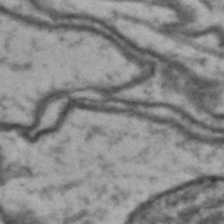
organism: Drosophila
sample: Brain